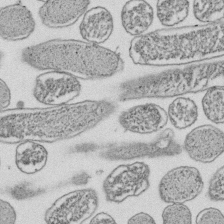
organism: E. coli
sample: Bacterial nucleoid